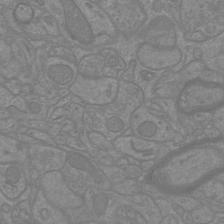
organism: Mouse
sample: Cortical neurons